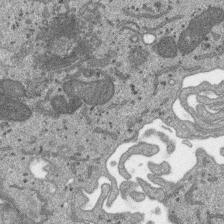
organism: Human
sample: Lung epithelial cells infected with SARS-CoV-2